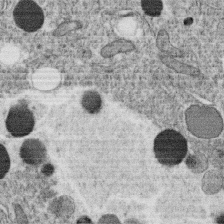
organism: C. elegans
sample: C. elegans oocyte; sperm cells